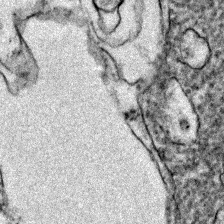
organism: Zebrafish